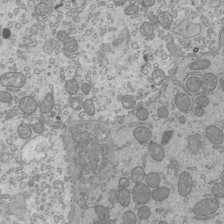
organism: Mouse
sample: Cilia; mouse epididymis